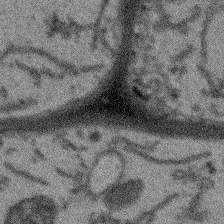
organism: Arabidopsis thaliana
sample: Root tip